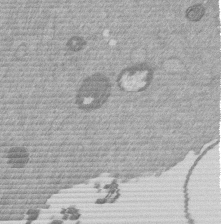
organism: Mouse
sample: Dividing mouse embryo 1 cell stage